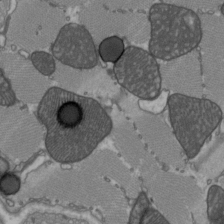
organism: C57BL Mouse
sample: Heart